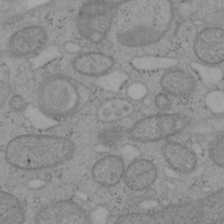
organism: Mouse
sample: OT-I killer T cells with ID8 ovarian cancer cells